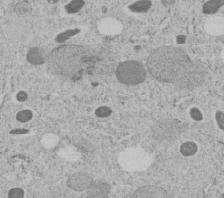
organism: C. elegans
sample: C. elegans embryo early stage